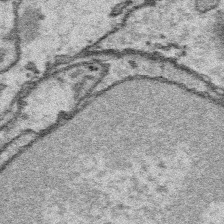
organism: Platynereis dumerilii